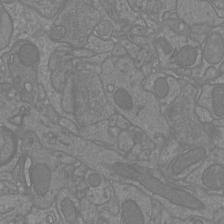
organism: Mouse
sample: Cortical neurons